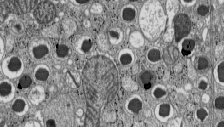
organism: C57BL Mouse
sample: Pancreatic islet